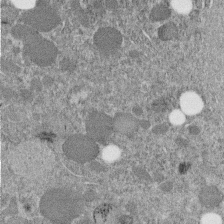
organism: C. elegans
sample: C. elegans embryo early stage